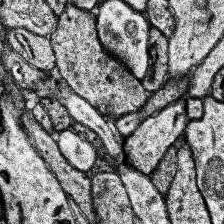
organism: Human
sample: Temporal Lobe